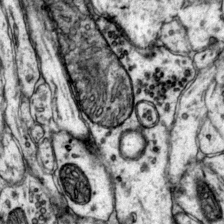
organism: Mouse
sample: Primary visual cortex